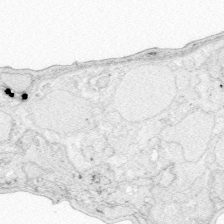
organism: Zebrafish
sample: Whole-Brain